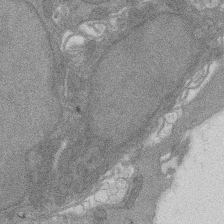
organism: Rat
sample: Salivary granule